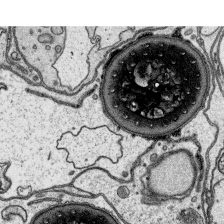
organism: Platynereis dumerilii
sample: Parapodia